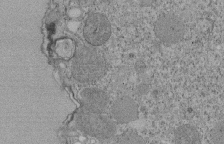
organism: Tetrahymena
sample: Cilia in tetrahymena